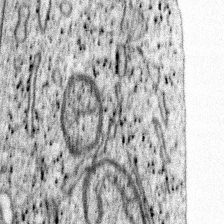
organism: Human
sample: HeLa cells